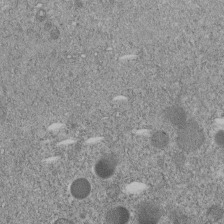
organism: C. elegans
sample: C. elegans embryo early stage